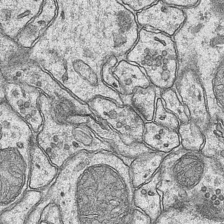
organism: Mouse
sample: CA1 Hippocampus